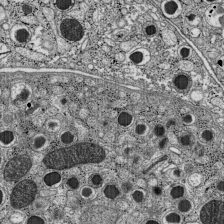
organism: C57BL Mouse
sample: Pancreatic islet